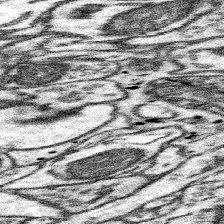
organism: Mouse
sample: Somatosensory cortex neuropil